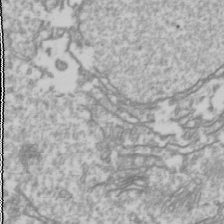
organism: Drosophila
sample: Cell division; meiosis; drosophila spermatocytes